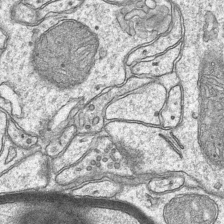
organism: Mouse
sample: CA1 Hippocampus